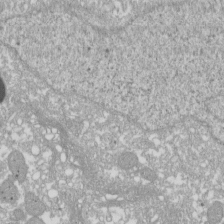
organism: Xenopus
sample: Cilia; centrioles in frog embryo cells